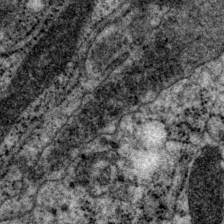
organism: P. pacificus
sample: Pharynx